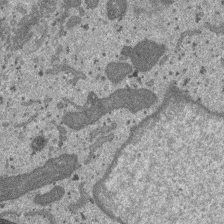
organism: Human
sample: Lung epithelial cells infected with SARS-CoV-2